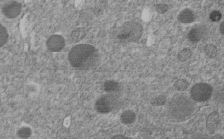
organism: C. elegans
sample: C. elegans embryo early stage